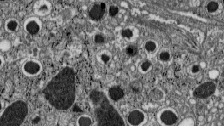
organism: C57BL Mouse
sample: Pancreatic islet